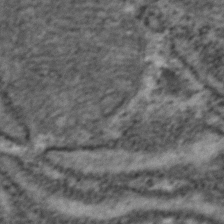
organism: Zebrafish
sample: Zebrafish embryo